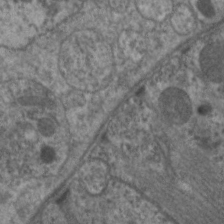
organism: C. elegans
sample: Pharynx